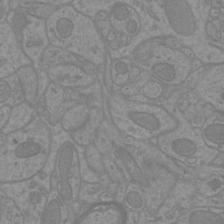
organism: Mouse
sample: Cortical neurons